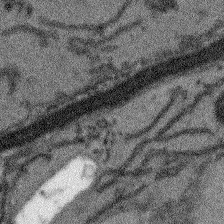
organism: Arabidopsis thaliana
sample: Root tip